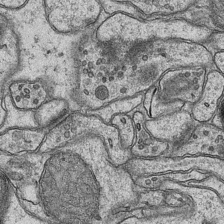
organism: Mouse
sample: CA1 Hippocampus